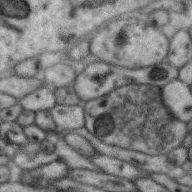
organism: Zebra finch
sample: Brain